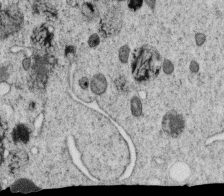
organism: C. elegans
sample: C. elegans oocyte; sperm cells